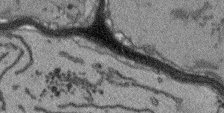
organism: Arabidopsis thaliana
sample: Root tip